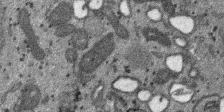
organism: Human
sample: Lung epithelial cells infected with SARS-CoV-2